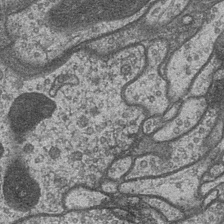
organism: Drosophila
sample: Optic medulla